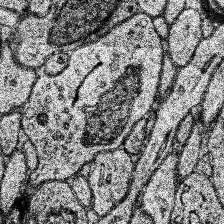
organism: Human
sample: Temporal Lobe